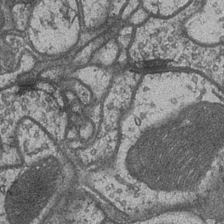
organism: Drosophila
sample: Optic medulla